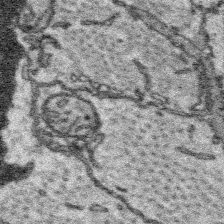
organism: Platynereis dumerilii